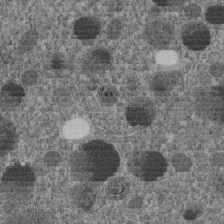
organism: C. elegans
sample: C. elegans embryo early stage